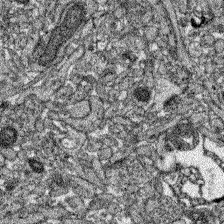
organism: Zebrafish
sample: Larval olfactory bulb